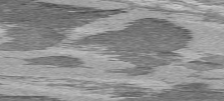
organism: C57BL Mouse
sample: Heart